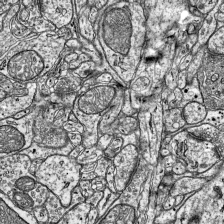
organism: Mouse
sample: Visual Cortex